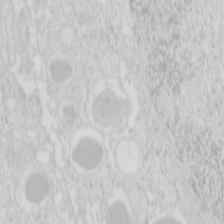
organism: Mouse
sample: Pancreas